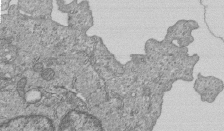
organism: Human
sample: MDA-MB-231 cells